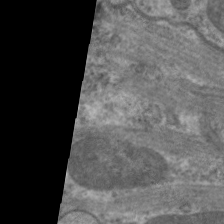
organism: C. elegans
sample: Pharynx